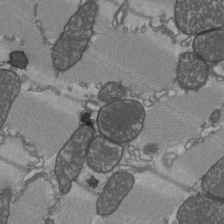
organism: C57BL Mouse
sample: Heart